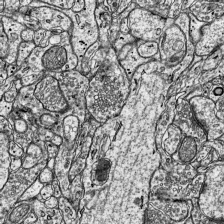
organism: Mouse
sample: Visual Cortex